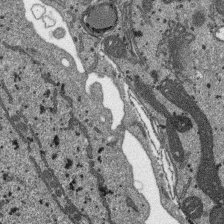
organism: Human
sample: Lung epithelial cells infected with SARS-CoV-2